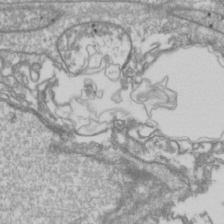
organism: Drosophila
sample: Cell division; meiosis; drosophila spermatocytes